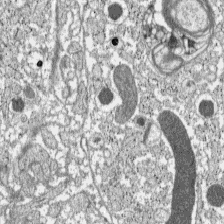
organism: C57BL Mouse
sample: Pancreatic islet